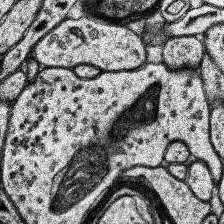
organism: Human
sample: Temporal Lobe